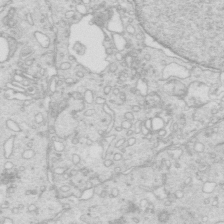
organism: Mouse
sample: Multiciliated cells